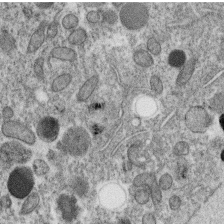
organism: C. elegans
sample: C. elegans oocyte; sperm cells